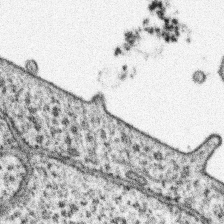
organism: Human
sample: HeLa cells